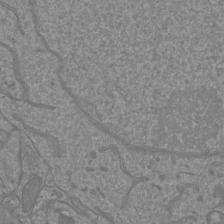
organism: Mouse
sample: Cortical neurons